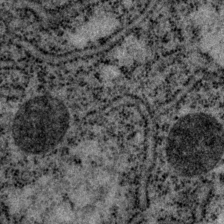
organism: P. pacificus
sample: Pharynx